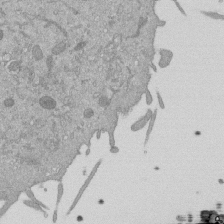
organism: Mouse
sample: ED-1 cell nuclei; centrioles